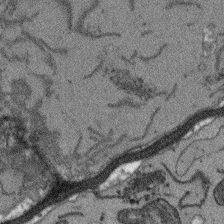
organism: Arabidopsis thaliana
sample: Root tip